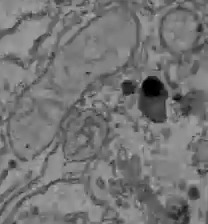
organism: C57BL Mouse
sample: Liver